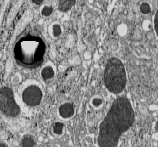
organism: C57BL Mouse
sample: Pancreatic islet